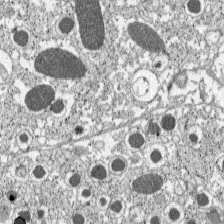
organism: C57BL Mouse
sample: Pancreatic islet